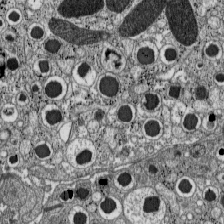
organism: C57BL Mouse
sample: Pancreatic islet